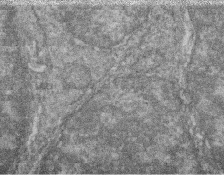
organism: Zebrafish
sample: Cilia; retinal pigment epithelium